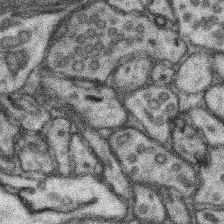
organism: Mouse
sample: Somatosensory cortex neuropil